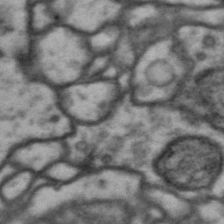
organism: Drosophila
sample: Brain